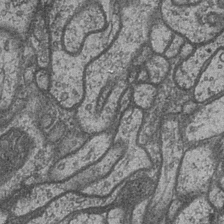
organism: Drosophila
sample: Optic medulla